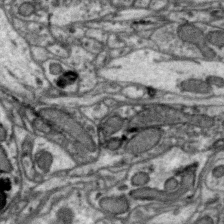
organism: Zebra finch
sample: Brain